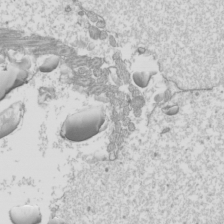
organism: Mouse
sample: Cilia; mouse epididymis